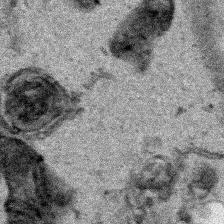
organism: Human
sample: Mitochondria in HCT116 cells